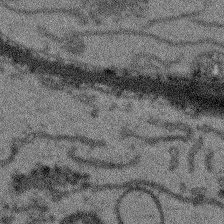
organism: Arabidopsis thaliana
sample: Root tip